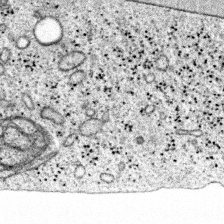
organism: Human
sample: HeLa cells